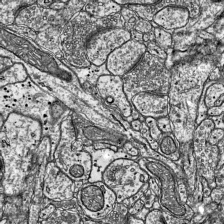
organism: Mouse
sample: Visual Cortex